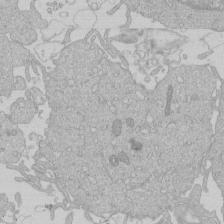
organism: Human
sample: Macrophage cells